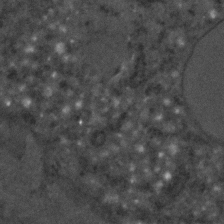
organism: C. elegans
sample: C. elegans embryo